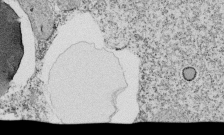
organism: Tetrahymena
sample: Cilia in tetrahymena